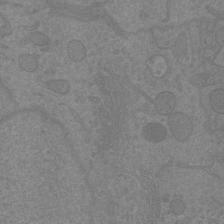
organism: Mouse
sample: Cortical neurons